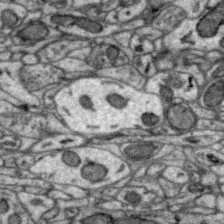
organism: Zebra finch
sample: Brain